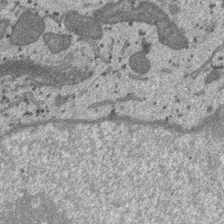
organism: Human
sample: Lung epithelial cells infected with SARS-CoV-2